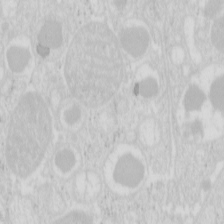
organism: Mouse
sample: Pancreas